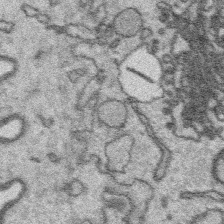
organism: Platynereis dumerilii